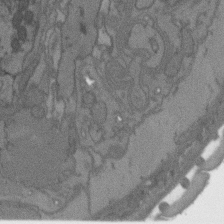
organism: C. elegans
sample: AFD neurons C. elegans